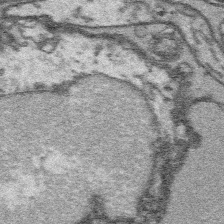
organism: Platynereis dumerilii